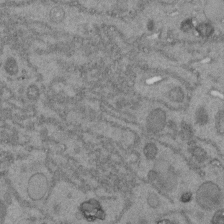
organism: C. elegans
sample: C. elegans embryo early stage